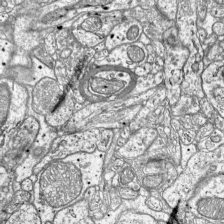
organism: Mouse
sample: Visual Cortex